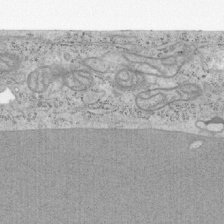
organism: Human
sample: HeLa cells